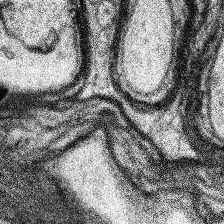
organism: Human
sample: Temporal Lobe